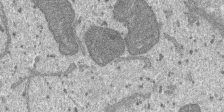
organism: Human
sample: Lung epithelial cells infected with SARS-CoV-2